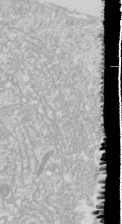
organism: Drosophila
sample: Cell division; meiosis; drosophila spermatocytes